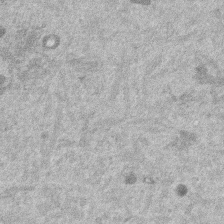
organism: Mouse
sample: Dividing mouse embryo 1 cell stage